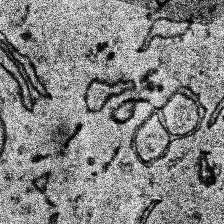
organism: Human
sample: Temporal Lobe